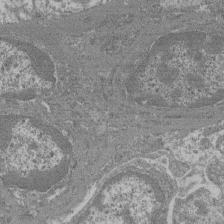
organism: Mouse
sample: Glomerulus